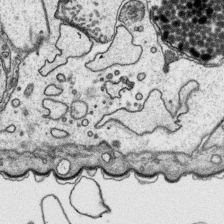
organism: Platynereis dumerilii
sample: Parapodia